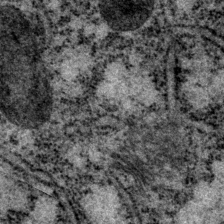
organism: P. pacificus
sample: Pharynx